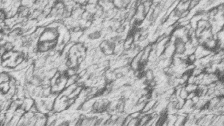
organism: Zebrafish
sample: synaptic ribbons in rod cells and cone cells